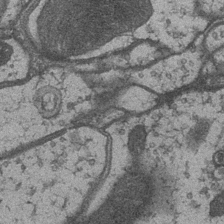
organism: Drosophila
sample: Optic medulla